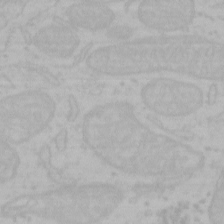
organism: Mouse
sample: Choroid plexus